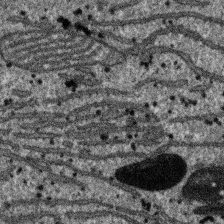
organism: Human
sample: Lung epithelial cells infected with SARS-CoV-2